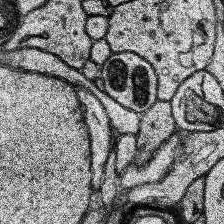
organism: Human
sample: Temporal Lobe